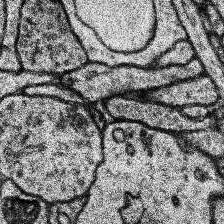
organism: Human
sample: Temporal Lobe